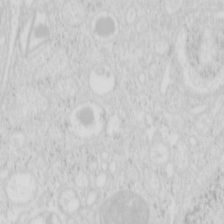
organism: Mouse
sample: Pancreas